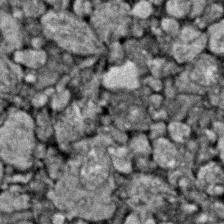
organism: Zebrafish